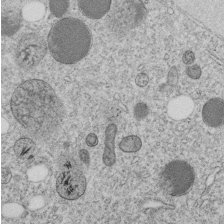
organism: C. elegans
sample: C. elegans embryo early stage